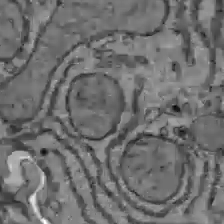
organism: C57BL Mouse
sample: Liver